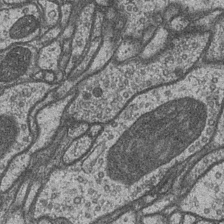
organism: Drosophila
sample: Optic medulla